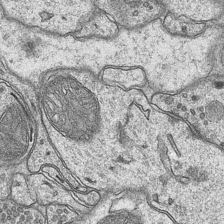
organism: Mouse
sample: CA1 Hippocampus